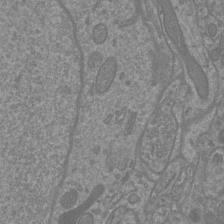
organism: Mouse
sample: Cortical neurons